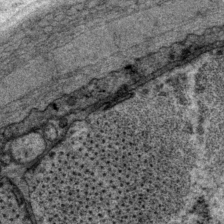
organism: P. pacificus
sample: Pharynx